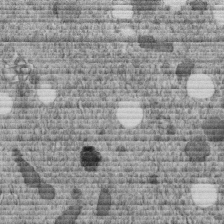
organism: C. elegans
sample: C. elegans embryo early stage